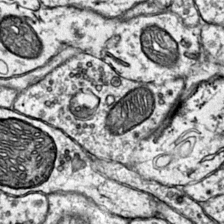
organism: Mouse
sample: Primary visual cortex